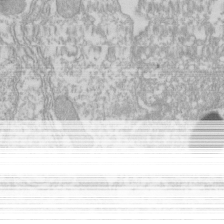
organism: Xenopus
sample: Cilia; centrioles in frog embryo cells